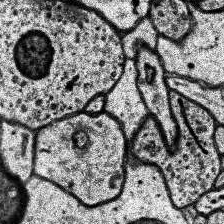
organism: Human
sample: Temporal Lobe